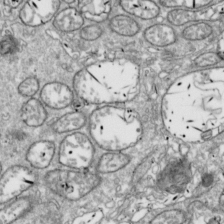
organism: Drosophila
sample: Cell division; meiosis; drosophila spermatocytes